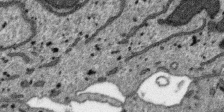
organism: Human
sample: Lung epithelial cells, uninfected (mock) control